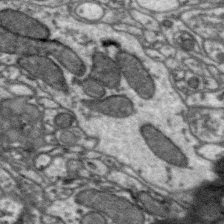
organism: Zebra finch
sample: Brain